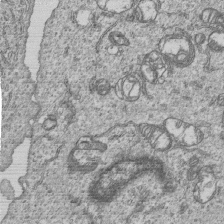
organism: Human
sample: MDA-MB-231 cells